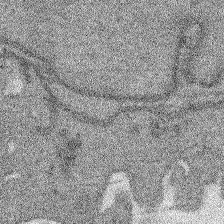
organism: Human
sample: HeLa cells